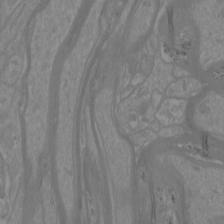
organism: Mouse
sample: Cortical neurons